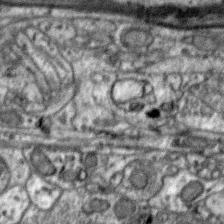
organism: Zebra finch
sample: Brain